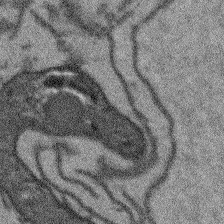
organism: Arabidopsis thaliana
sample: Root tip